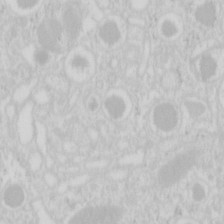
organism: Mouse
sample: Pancreas